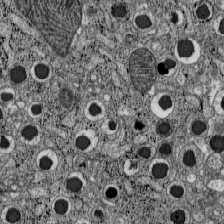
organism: C57BL Mouse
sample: Pancreatic islet